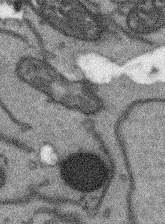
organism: Arabidopsis thaliana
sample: Root tip